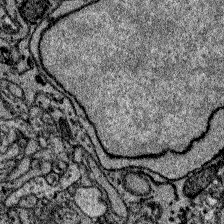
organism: Zebrafish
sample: Larval olfactory bulb